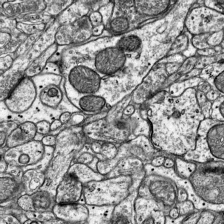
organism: Mouse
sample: Visual Cortex